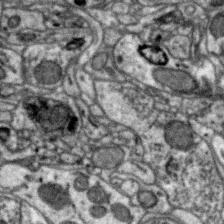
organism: Zebra finch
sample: Brain